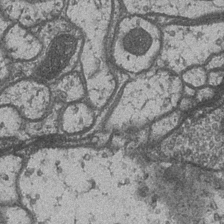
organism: Drosophila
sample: Optic medulla